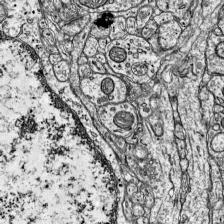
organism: Mouse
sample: Visual Cortex